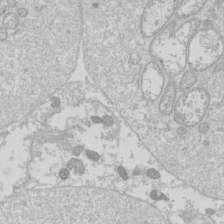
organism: Drosophila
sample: Cell division; meiosis; drosophila spermatocytes